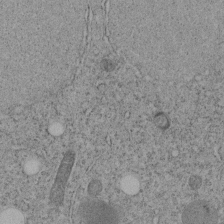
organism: C. elegans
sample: C. elegans embryo early stage